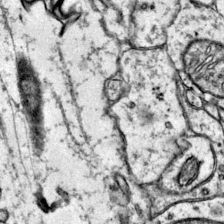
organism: Mouse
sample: Primary visual cortex